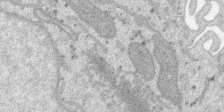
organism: Human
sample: Lung epithelial cells infected with SARS-CoV-2